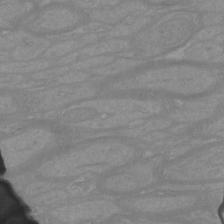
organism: Mouse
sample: Cortical neurons